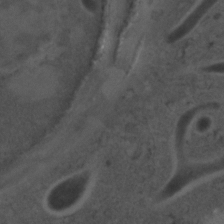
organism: C. elegans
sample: C. elegans embryo